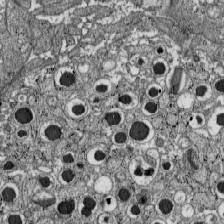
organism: C57BL Mouse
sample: Pancreatic islet